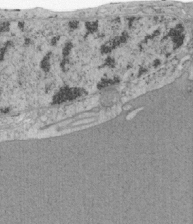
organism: Human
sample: HeLa cells